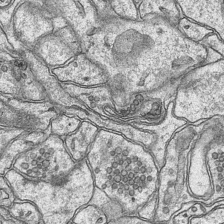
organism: Mouse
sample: CA1 Hippocampus